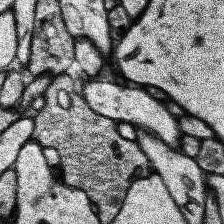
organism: Human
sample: Temporal Lobe